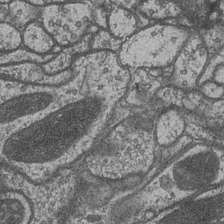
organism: Drosophila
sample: Optic medulla